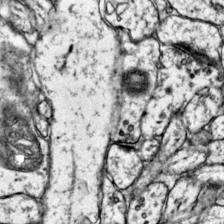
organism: Mouse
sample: Primary visual cortex